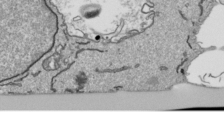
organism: Human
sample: Mitochondria in HCT116 cells